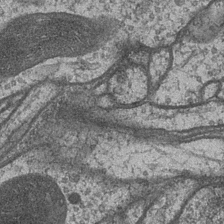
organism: Drosophila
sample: Optic medulla